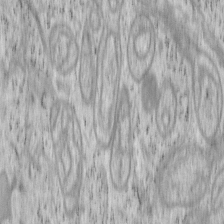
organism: Human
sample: HeLa cells